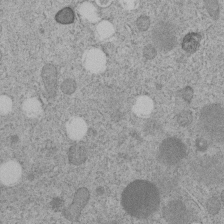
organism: C. elegans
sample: C. elegans embryo early stage